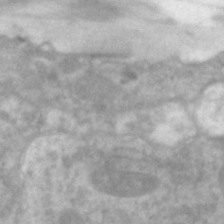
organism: C. elegans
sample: Pharynx